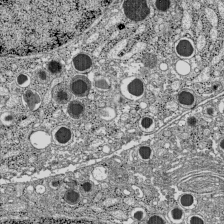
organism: C57BL Mouse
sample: Pancreatic islet